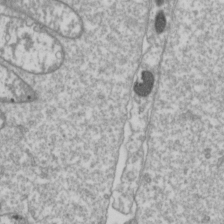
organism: Drosophila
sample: Cell division; meiosis; drosophila spermatocytes